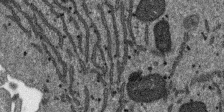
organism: Human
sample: Lung epithelial cells infected with SARS-CoV-2